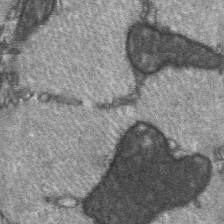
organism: C57BL Mouse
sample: Soleus